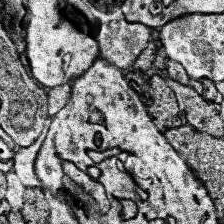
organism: Human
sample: Temporal Lobe